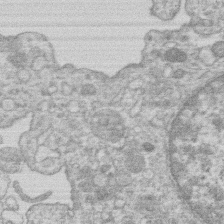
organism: Human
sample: Macrophage cells